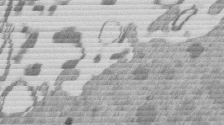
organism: Mouse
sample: Dividing mouse embryo 1 cell stage